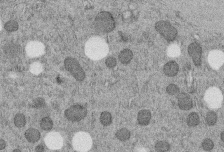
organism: C. elegans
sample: C. elegans embryo early stage